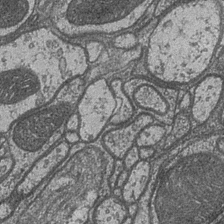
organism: Drosophila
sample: Optic medulla